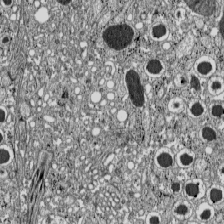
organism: C57BL Mouse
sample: Pancreatic islet